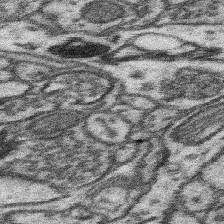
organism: Mouse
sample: Somatosensory cortex neuropil